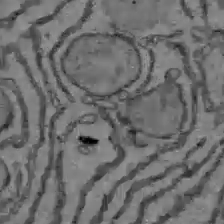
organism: C57BL Mouse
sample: Liver